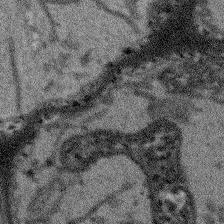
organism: Arabidopsis thaliana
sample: Root tip